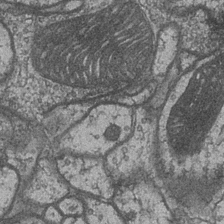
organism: Drosophila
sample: Optic medulla